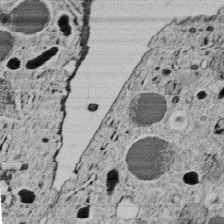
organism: C. elegans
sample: C. elegans embryo early stage